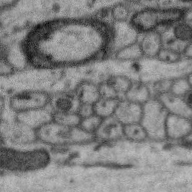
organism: Zebra finch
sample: Brain